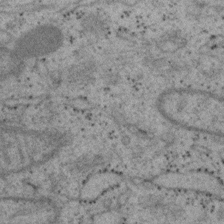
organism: Human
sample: HeLa cells